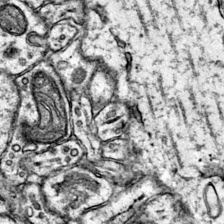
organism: Mouse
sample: Primary visual cortex